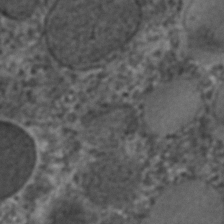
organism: C. elegans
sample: C. elegans embryo